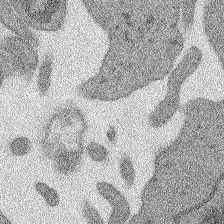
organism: Human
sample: HeLa cells